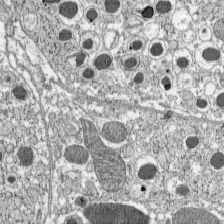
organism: C57BL Mouse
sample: Pancreatic islet